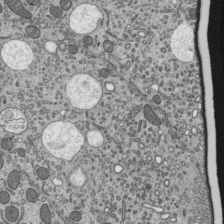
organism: Mouse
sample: Mouse epididymis efferent ductule cilia